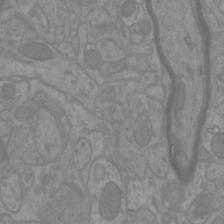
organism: Mouse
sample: Cortical neurons